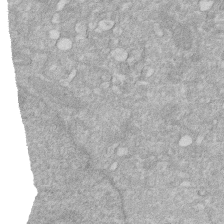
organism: Human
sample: HIV infected U937 cells